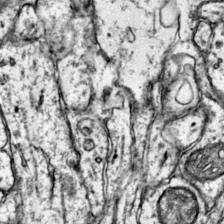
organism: Mouse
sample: Primary visual cortex